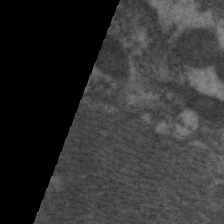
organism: C. elegans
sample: Pharynx